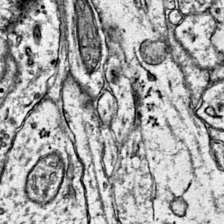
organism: Mouse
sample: Primary visual cortex